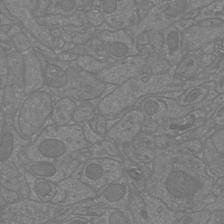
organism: Mouse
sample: Cortical neurons